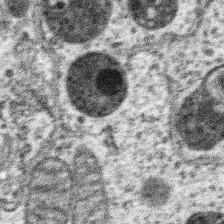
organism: Human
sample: HeLa cells